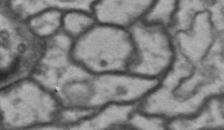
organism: Drosophila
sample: Brain